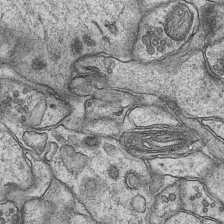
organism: Mouse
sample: CA1 Hippocampus